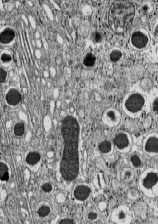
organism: C57BL Mouse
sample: Pancreatic islet